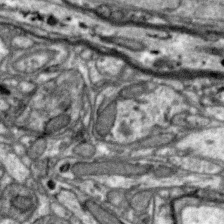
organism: Zebra finch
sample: Brain